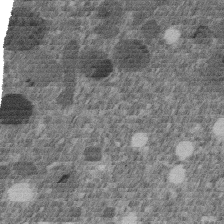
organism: C. elegans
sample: C. elegans embryo early stage